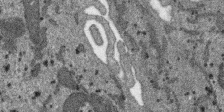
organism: Human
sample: Lung epithelial cells infected with SARS-CoV-2